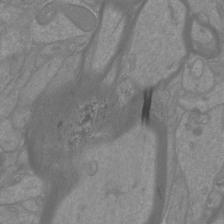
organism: Mouse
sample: Cortical neurons